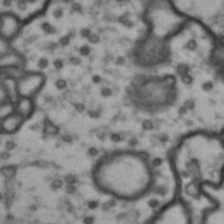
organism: Drosophila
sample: Brain